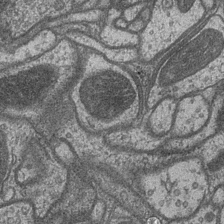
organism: Drosophila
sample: Optic medulla